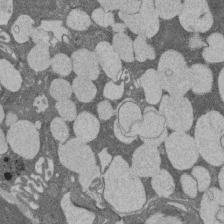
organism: Rat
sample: Salivary granule